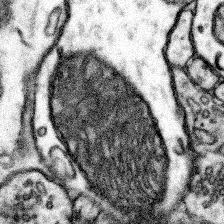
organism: Mouse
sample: Somatosensory cortex neuropil